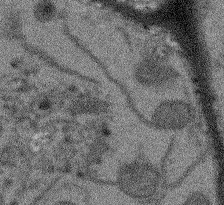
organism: Arabidopsis thaliana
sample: Root tip